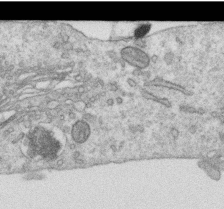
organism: Human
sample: Centriole in RPE cells